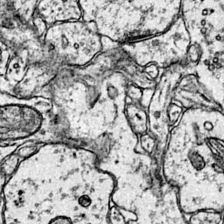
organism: Mouse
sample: Primary visual cortex